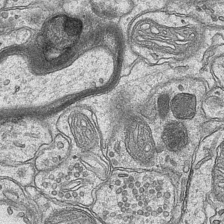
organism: Mouse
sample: CA1 Hippocampus